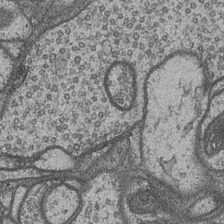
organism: Drosophila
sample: Optic medulla